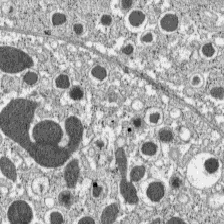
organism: C57BL Mouse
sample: Pancreatic islet